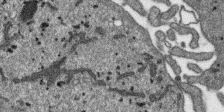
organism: Human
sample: Lung epithelial cells infected with SARS-CoV-2